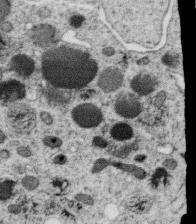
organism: C. elegans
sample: C. elegans oocyte; sperm cells